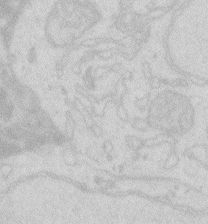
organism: Zebrafish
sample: Macrophage